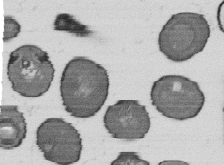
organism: B. subtilis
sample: Bacterial spore